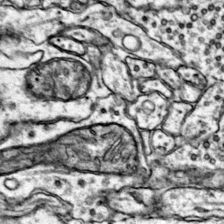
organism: Mouse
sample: Primary visual cortex